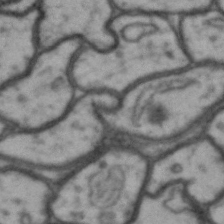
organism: Drosophila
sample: Brain